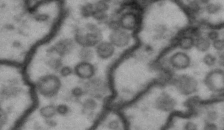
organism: Drosophila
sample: Brain